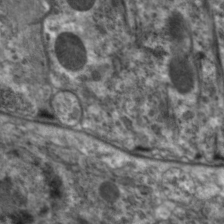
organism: C. elegans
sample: Pharynx